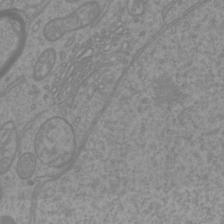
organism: Mouse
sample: Cortical neurons